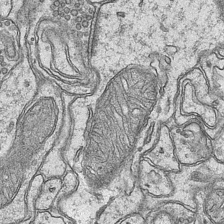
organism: Mouse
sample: CA1 Hippocampus